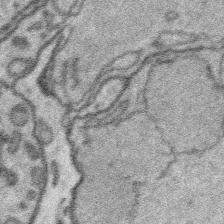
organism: Platynereis dumerilii